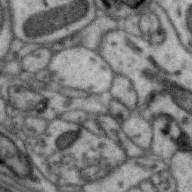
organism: Zebra finch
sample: Brain